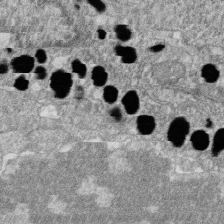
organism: Zebrafish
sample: Cilia; retinal pigment epithelium